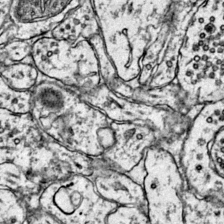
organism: Mouse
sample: Primary visual cortex